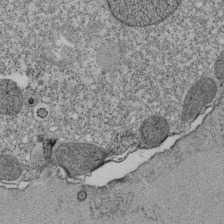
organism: Tetrahymena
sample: Cilia in tetrahymena